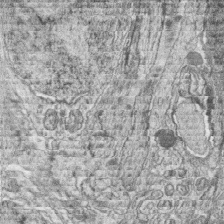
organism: Zebrafish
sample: synaptic ribbons in rod cells and cone cells